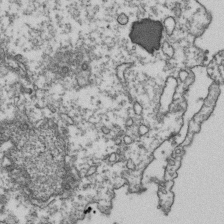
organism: Human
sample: Activated Jurkat CD4+ T cells